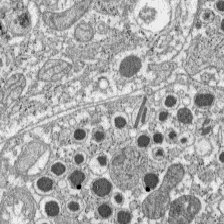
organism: C57BL Mouse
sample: Pancreatic islet